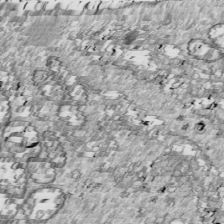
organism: Drosophila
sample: Cell division; meiosis; drosophila spermatocytes